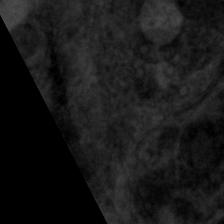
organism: C. elegans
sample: Pharynx